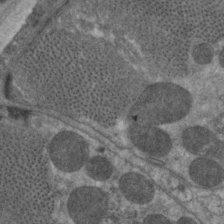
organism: C. elegans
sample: Pharynx